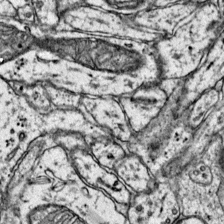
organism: Mouse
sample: Primary visual cortex